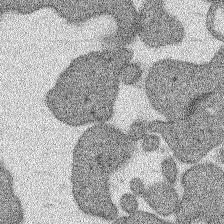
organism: Human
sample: HeLa cells